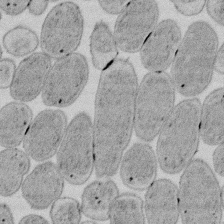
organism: E. coli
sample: Bacterial nucleoid